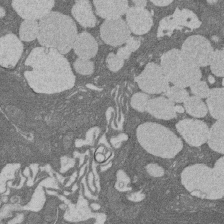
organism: Rat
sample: Salivary granule